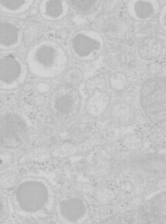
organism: Mouse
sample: Pancreas